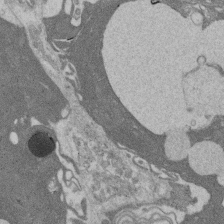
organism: Rat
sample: Salivary granule